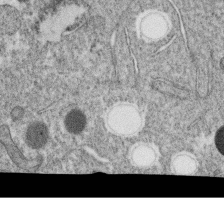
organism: C. elegans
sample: C. elegans oocyte; sperm cells